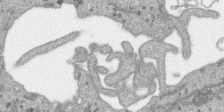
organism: Human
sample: Lung epithelial cells infected with SARS-CoV-2